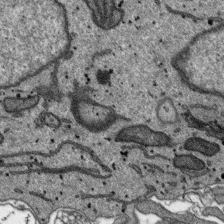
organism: Human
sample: Lung epithelial cells, uninfected (mock) control